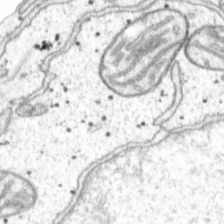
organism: Human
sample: HeLa cells